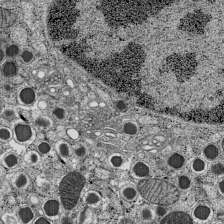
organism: C57BL Mouse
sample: Pancreatic islet